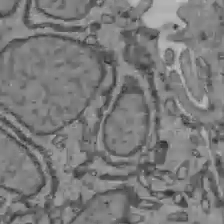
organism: C57BL Mouse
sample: Liver